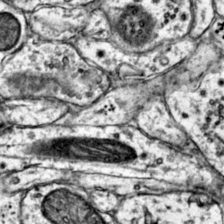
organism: Mouse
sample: Primary visual cortex